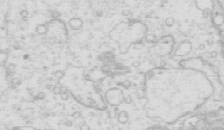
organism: Mouse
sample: Multiciliated cells